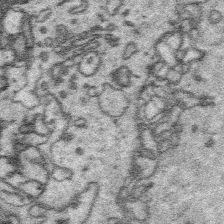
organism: Platynereis dumerilii